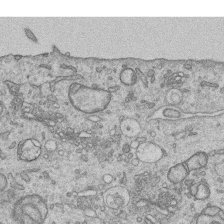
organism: Human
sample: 1205lu cells